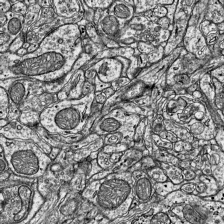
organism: Mouse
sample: Visual Cortex